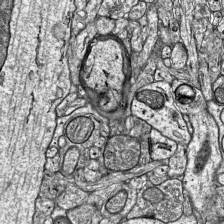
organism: Mouse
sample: Visual Cortex